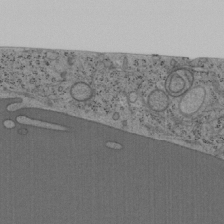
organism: Human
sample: HeLa cells